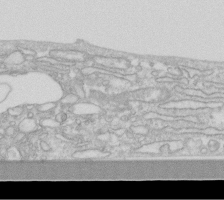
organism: Human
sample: Fibroblast cells